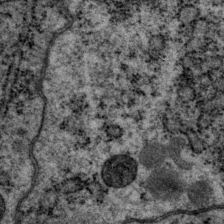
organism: P. pacificus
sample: Pharynx